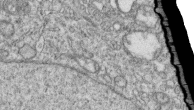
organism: Human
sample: HeLa cell HIV synapse